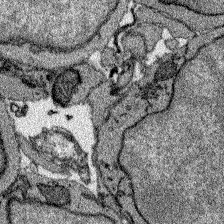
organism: Zebrafish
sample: Larval olfactory bulb